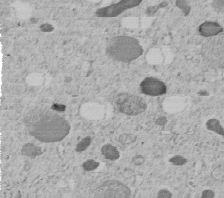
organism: C. elegans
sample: C. elegans embryo early stage